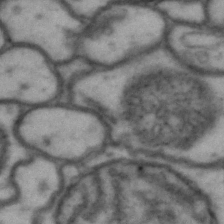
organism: Drosophila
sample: Brain